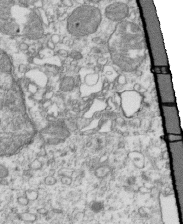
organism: Mouse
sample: Activated OT-1 CD8+ T cells